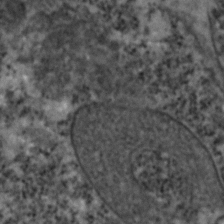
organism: Zebrafish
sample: Zebrafish embryo